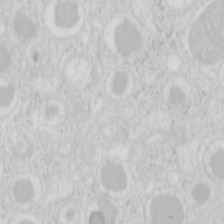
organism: Mouse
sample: Pancreas